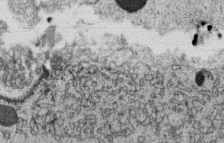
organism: C. elegans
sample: C. elegans oocyte; sperm cells